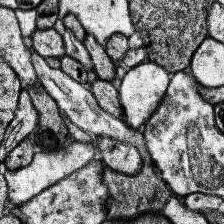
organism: Human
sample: Temporal Lobe